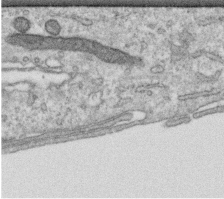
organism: Human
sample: Centriole in RPE cells